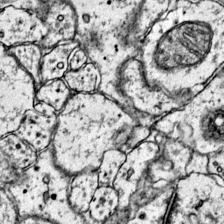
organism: Mouse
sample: Primary visual cortex